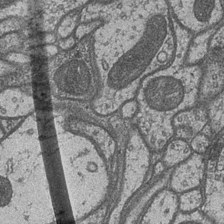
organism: Drosophila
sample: Optic medulla